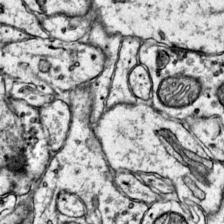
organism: Mouse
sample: Primary visual cortex